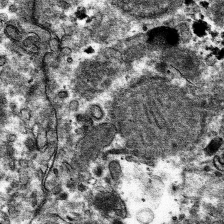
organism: Mouse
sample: Mouse hepatocytes